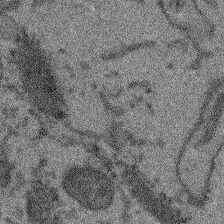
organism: Arabidopsis thaliana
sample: Root tip